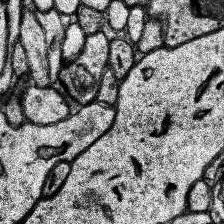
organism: Human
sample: Temporal Lobe